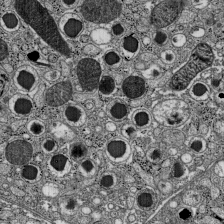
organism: C57BL Mouse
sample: Pancreatic islet